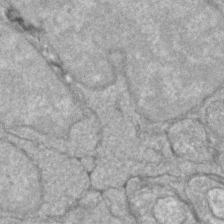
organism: Zebrafish